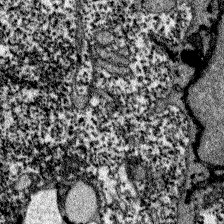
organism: Zebrafish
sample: Larval olfactory bulb